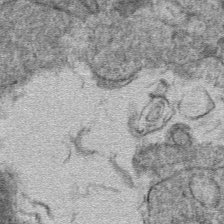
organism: Mouse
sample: Mouse hepatocytes